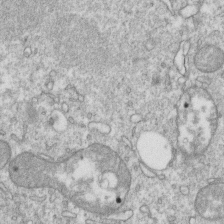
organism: Mouse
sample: Activated OT-1 CD8+ T cells